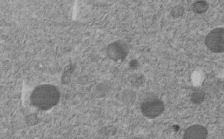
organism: C. elegans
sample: C. elegans embryo early stage